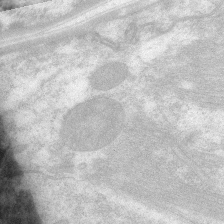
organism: C. elegans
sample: Pharynx